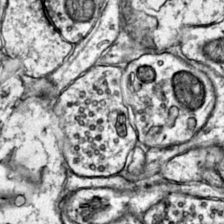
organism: Mouse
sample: Primary visual cortex